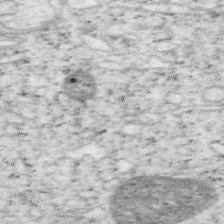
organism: Mouse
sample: OT-I killer T cells with ID8 ovarian cancer cells